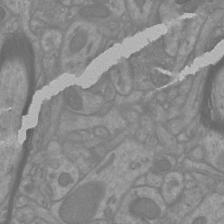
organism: Mouse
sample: Cortical neurons